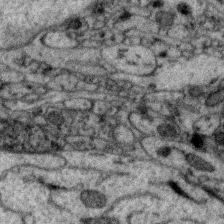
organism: Zebra finch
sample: Brain